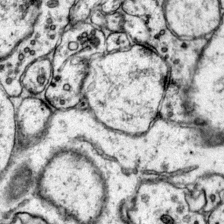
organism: Mouse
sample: Primary visual cortex